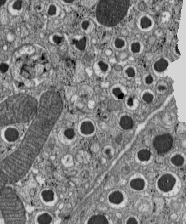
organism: C57BL Mouse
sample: Pancreatic islet